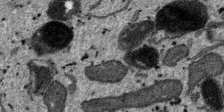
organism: Human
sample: Lung epithelial cells, uninfected (mock) control